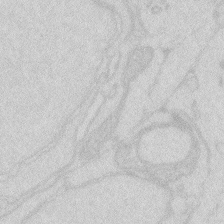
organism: Zebrafish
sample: Macrophage